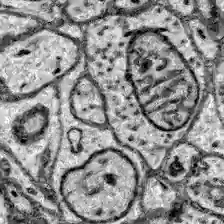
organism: Zebrafish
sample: Brain